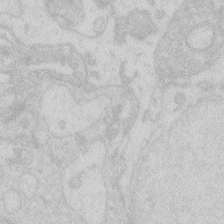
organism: Zebrafish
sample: Macrophage